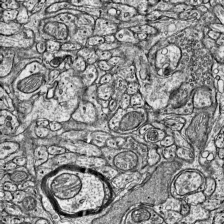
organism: Mouse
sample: Visual Cortex